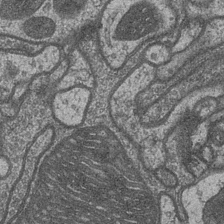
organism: Drosophila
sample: Optic medulla